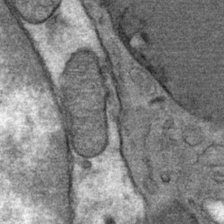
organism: Mouse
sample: Mouse Salivary gland